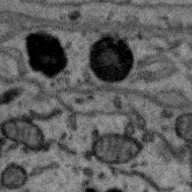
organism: Zebra finch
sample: Brain